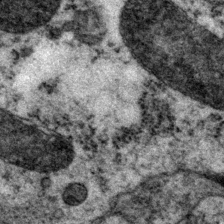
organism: P. pacificus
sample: Pharynx